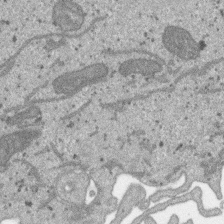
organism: Human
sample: Lung epithelial cells infected with SARS-CoV-2